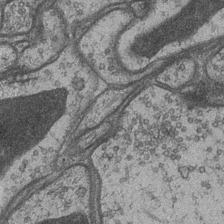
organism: Drosophila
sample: Optic medulla